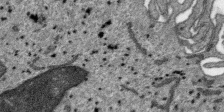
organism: Human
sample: Lung epithelial cells, uninfected (mock) control